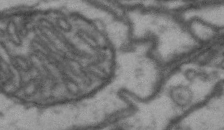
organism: Drosophila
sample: Brain